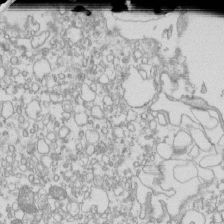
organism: Mouse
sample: Macrophages